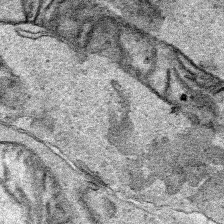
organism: Human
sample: Mitochondria in HCT116 cells